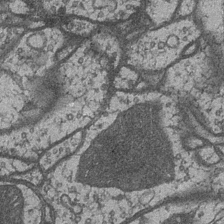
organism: Drosophila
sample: Optic medulla